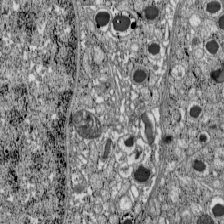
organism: C57BL Mouse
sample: Pancreatic islet